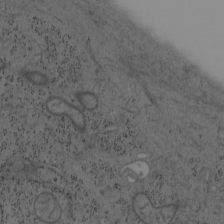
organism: Mouse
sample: OT-I killer T cells with ID8 ovarian cancer cells